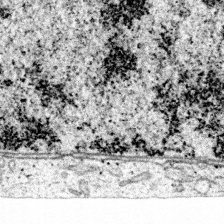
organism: Human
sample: HeLa cells